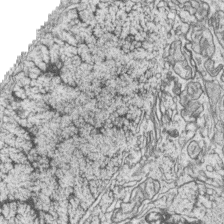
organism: Zebrafish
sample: synaptic ribbons in rod cells and cone cells